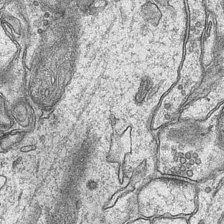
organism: Mouse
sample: CA1 Hippocampus